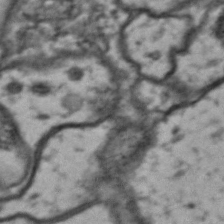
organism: Drosophila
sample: Brain